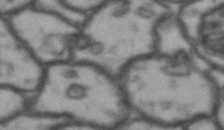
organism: Drosophila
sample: Brain